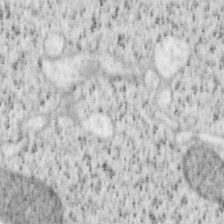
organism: Mouse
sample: OT-I killer T cells with ID8 ovarian cancer cells